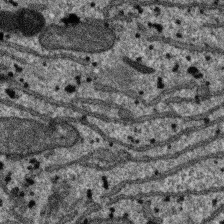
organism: Human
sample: Lung epithelial cells infected with SARS-CoV-2